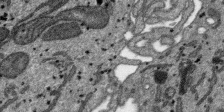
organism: Human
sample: Lung epithelial cells, uninfected (mock) control